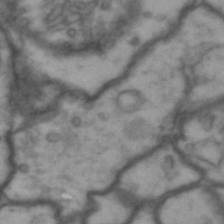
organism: Drosophila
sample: Brain